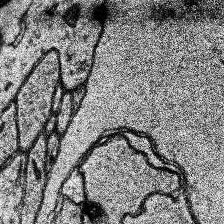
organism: Human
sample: Temporal Lobe